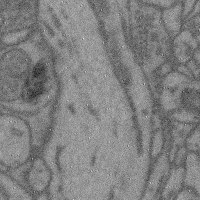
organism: Mouse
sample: Cerebral cortex